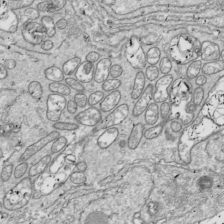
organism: Drosophila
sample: Cell division; meiosis; drosophila spermatocytes